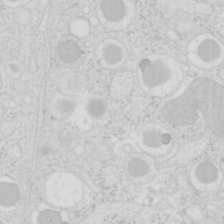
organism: Mouse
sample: Pancreas